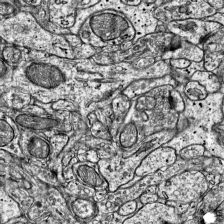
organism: Mouse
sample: Visual Cortex